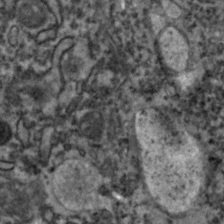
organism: Zebrafish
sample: Zebrafish embryo